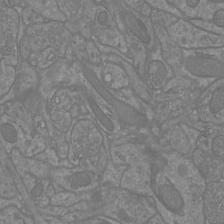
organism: Mouse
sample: Cortical neurons